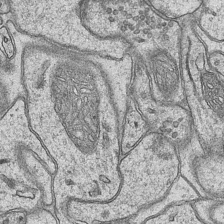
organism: Mouse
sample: CA1 Hippocampus